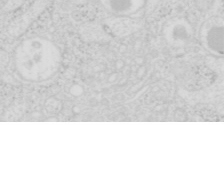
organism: Mouse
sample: Pancreas